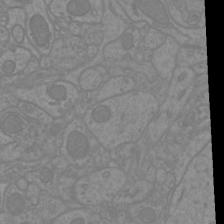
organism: Mouse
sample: Cortical neurons